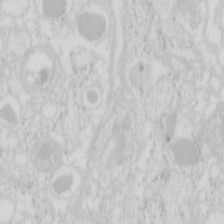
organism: Mouse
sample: Pancreas